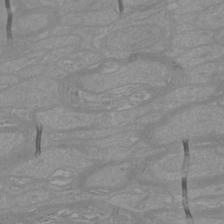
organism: Mouse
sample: Cortical neurons